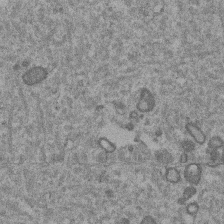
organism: Mouse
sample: Dividing mouse embryo 1 cell stage